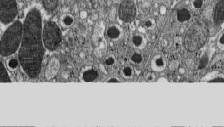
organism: C57BL Mouse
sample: Pancreatic islet